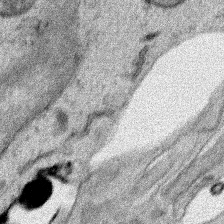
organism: Human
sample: Mitochondria in HCT116 cells